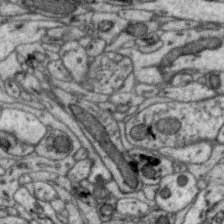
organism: Zebra finch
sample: Brain